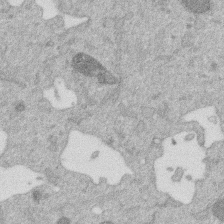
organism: Mouse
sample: Dividing mouse embryo 1 cell stage